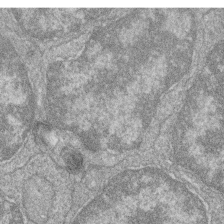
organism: Zebrafish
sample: Cilia; retinal pigment epithelium